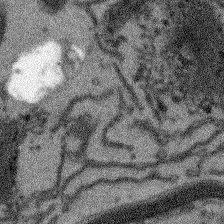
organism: Arabidopsis thaliana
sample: Root tip